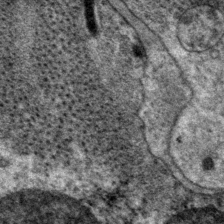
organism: P. pacificus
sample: Pharynx